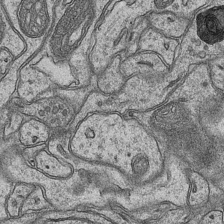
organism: Mouse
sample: CA1 Hippocampus